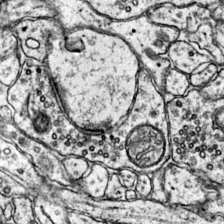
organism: Mouse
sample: Primary visual cortex